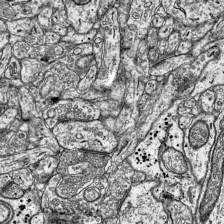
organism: Mouse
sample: Visual Cortex